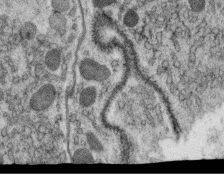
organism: C. elegans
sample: C. elegans oocyte; sperm cells